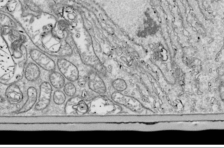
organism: Drosophila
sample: Cell division; meiosis; drosophila spermatocytes